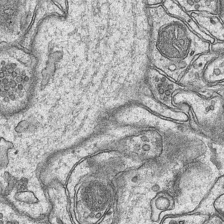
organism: Mouse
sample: CA1 Hippocampus